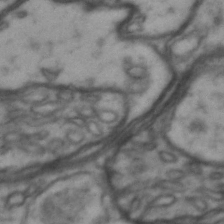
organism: Drosophila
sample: Brain